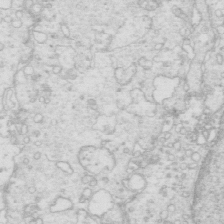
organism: Mouse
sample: Multiciliated cells